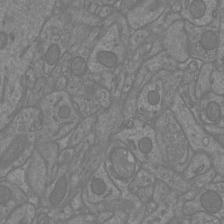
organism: Mouse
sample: Cortical neurons